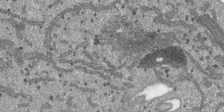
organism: Human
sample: Lung epithelial cells infected with SARS-CoV-2